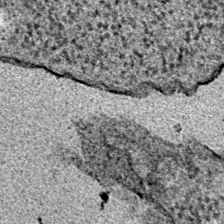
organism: E. coli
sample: E. Coli Bacteria